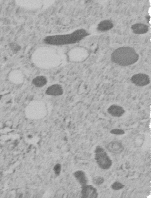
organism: C. elegans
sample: C. elegans embryo early stage